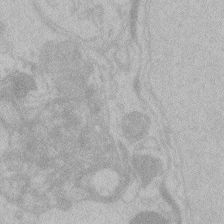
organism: Zebrafish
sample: Macrophage infected with Toxoplasma gondii